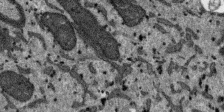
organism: Human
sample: Lung epithelial cells, uninfected (mock) control